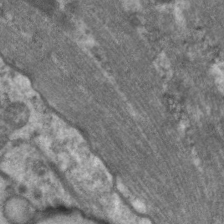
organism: C. elegans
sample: Pharynx